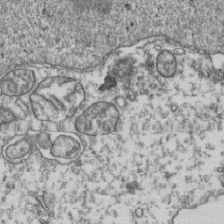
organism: Human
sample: Activated Jurkat CD4+ T cells